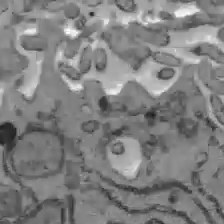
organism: C57BL Mouse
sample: Liver